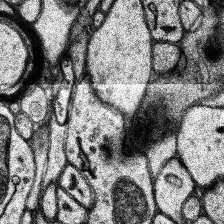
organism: Human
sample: Temporal Lobe